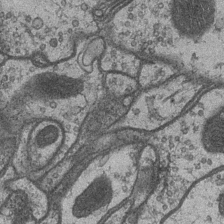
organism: Drosophila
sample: Optic medulla